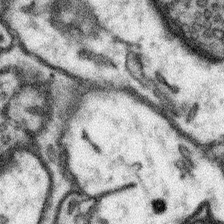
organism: Mouse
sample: Somatosensory cortex neuropil